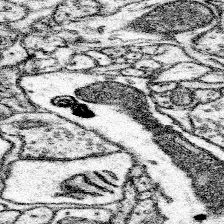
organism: Mouse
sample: Somatosensory cortex neuropil